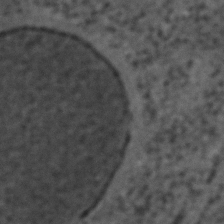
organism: C. elegans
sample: C. elegans embryo